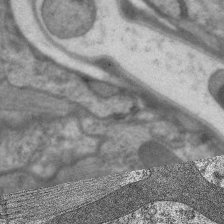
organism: C. elegans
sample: Pharynx